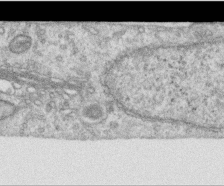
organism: Human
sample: Centriole in RPE cells